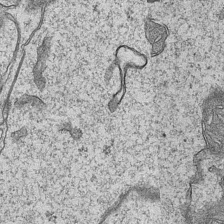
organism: Mouse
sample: CA1 Hippocampus